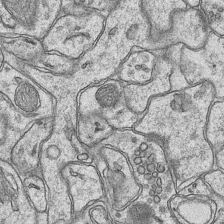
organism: Mouse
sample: CA1 Hippocampus